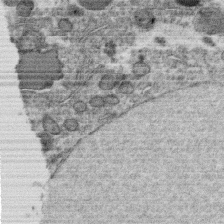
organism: C. elegans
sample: C. elegans oocyte; sperm cells